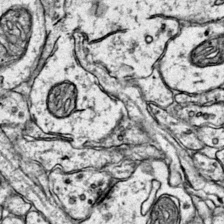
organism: Mouse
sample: Primary visual cortex